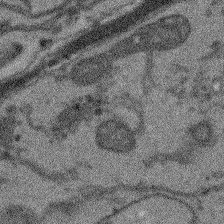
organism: Arabidopsis thaliana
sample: Root tip